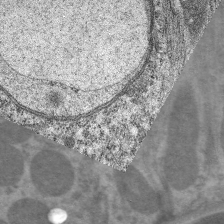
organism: C. elegans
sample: Pharynx